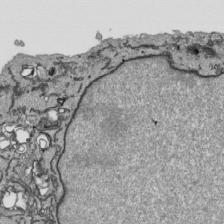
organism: Human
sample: Mitochondria in HCT116 cells